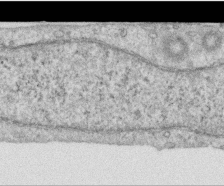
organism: Human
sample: Centriole in RPE cells